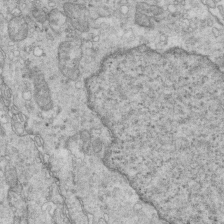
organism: Mouse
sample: Multiciliated cells